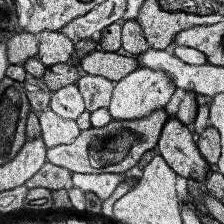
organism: Human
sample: Temporal Lobe